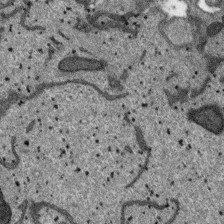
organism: Human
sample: Lung epithelial cells, uninfected (mock) control